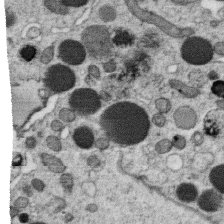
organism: C. elegans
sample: C. elegans oocyte; sperm cells